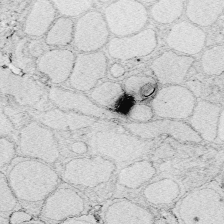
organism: Zebrafish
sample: Whole-Brain